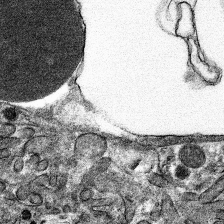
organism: Mouse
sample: Mouse hepatocytes